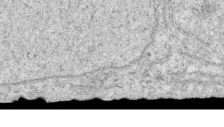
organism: Human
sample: HeLa cell HIV synapse